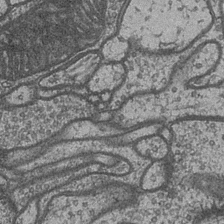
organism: Drosophila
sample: Optic medulla